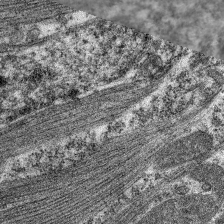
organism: C. elegans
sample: Pharynx